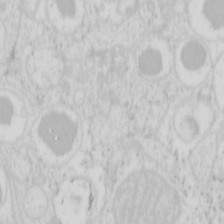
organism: Mouse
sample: Pancreas